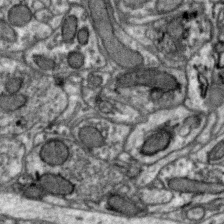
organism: Zebra finch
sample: Brain